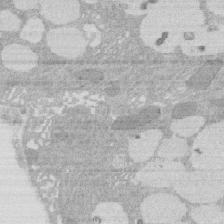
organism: Rat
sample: Salivary granule